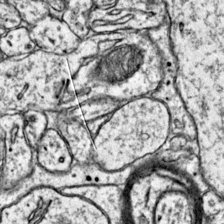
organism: Mouse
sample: Primary visual cortex